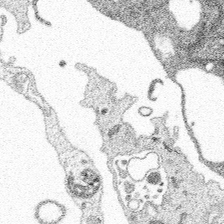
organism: Spongilla lacustris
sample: Multiple